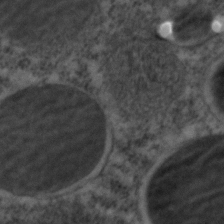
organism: C. elegans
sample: C. elegans embryo